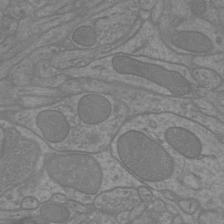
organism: Mouse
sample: Cortical neurons